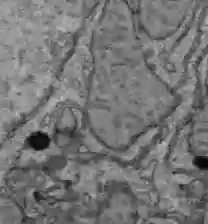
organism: C57BL Mouse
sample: Liver